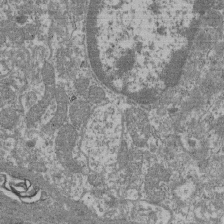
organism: Mouse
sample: Glomerulus